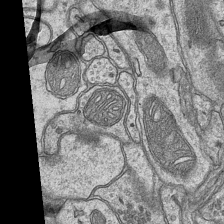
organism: Mouse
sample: CA1 Hippocampus